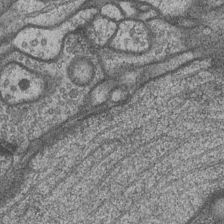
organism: Drosophila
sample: Optic medulla